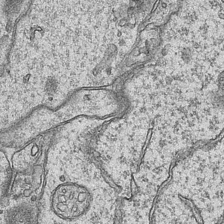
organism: Mouse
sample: CA1 Hippocampus